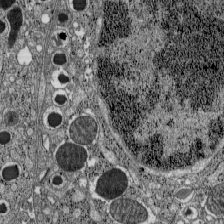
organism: C57BL Mouse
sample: Pancreatic islet